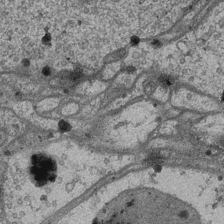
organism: Drosophila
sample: Optic medulla